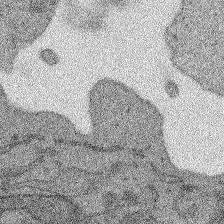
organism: Human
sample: HeLa cells